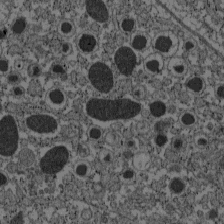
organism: C57BL Mouse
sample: Pancreatic islet